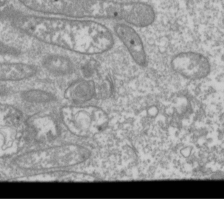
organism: Drosophila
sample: Cell division; meiosis; drosophila spermatocytes